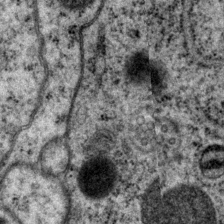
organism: P. pacificus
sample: Pharynx